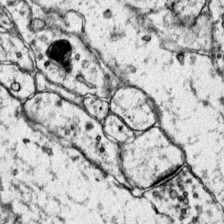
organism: Mouse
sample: Primary visual cortex